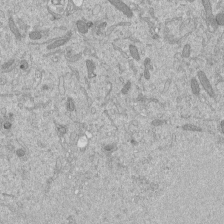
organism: Mouse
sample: ED-1 cell nuclei; centrioles